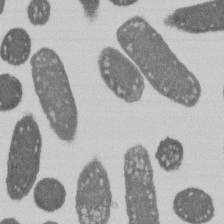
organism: E. coli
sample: Bacterial nucleoid